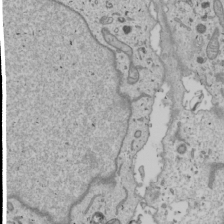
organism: Human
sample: Mitochondria in U2OS cells